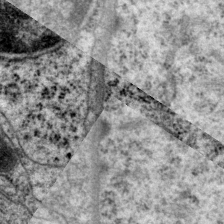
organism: P. pacificus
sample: Pharynx